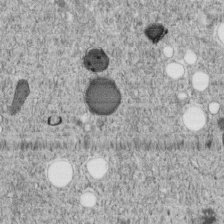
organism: C. elegans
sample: C. elegans embryo early stage